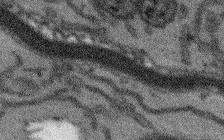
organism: Arabidopsis thaliana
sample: Root tip